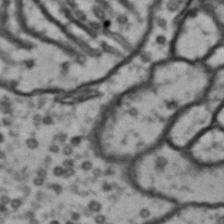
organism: Drosophila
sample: Brain